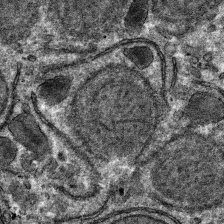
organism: Mouse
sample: Mouse hepatocytes